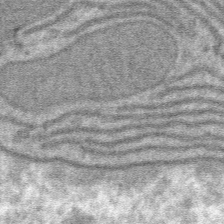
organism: Mouse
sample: Mouse hepatocytes